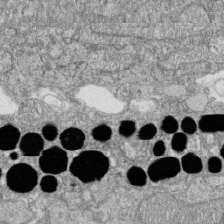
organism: Zebrafish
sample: Cilia; retinal pigment epithelium